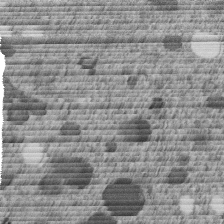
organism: C. elegans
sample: C. elegans embryo early stage